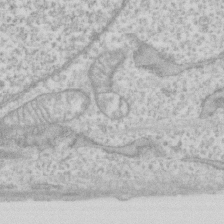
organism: Human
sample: Fibroblast cells